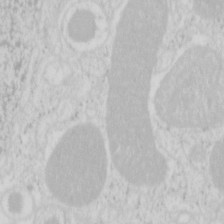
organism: Mouse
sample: Pancreas